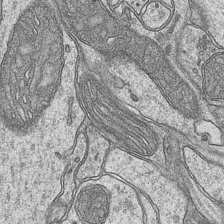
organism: Mouse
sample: CA1 Hippocampus